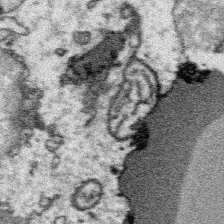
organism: Platynereis dumerilii